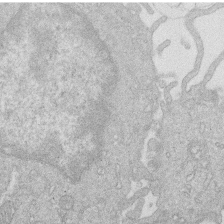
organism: Human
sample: Macrophage cells